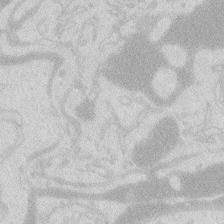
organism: Zebrafish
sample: Macrophage